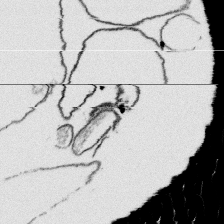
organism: Platynereis dumerilii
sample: Parapodia